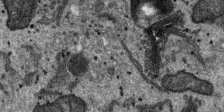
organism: Human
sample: Lung epithelial cells, uninfected (mock) control